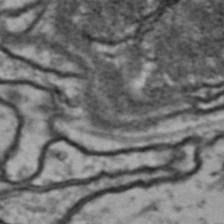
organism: Drosophila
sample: Brain